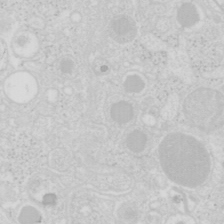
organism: Mouse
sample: Pancreas